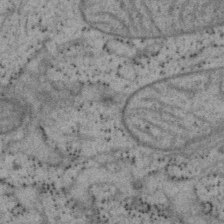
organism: Human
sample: HeLa cells